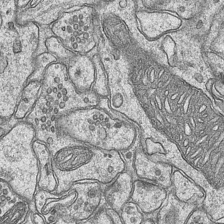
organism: Mouse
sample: CA1 Hippocampus